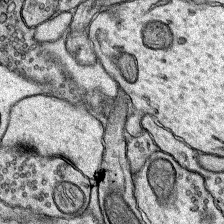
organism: Rat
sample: Hippocampus